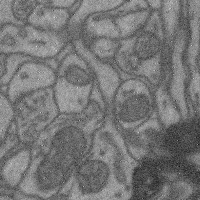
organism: Mouse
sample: Cerebral cortex